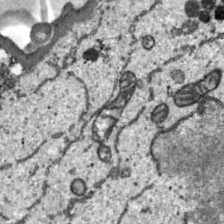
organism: Human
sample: HeLa cells